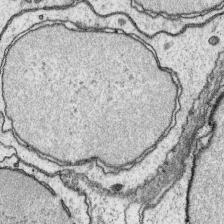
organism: Platynereis dumerilii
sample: Parapodia